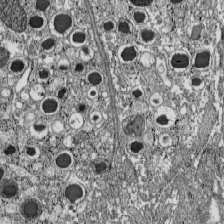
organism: C57BL Mouse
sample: Pancreatic islet